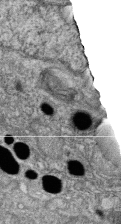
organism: Zebrafish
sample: Cilia; retinal pigment epithelium